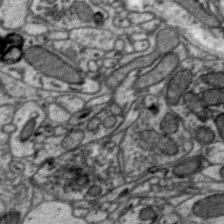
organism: Zebra finch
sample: Brain